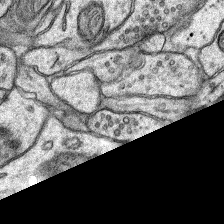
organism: Rat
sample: Hippocampus